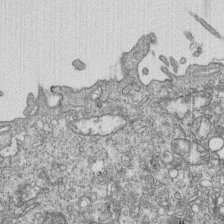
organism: Human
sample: HeLa cell HIV synapse